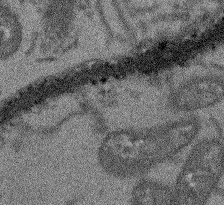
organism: Arabidopsis thaliana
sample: Root tip